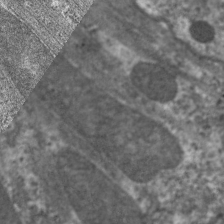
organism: C. elegans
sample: Pharynx